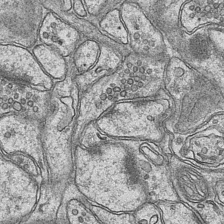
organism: Mouse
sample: CA1 Hippocampus